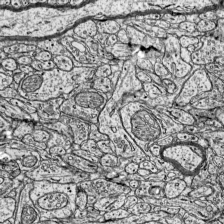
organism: Mouse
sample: Visual Cortex